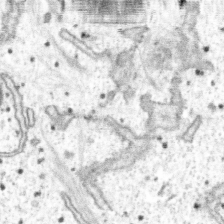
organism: Human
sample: HeLa cells